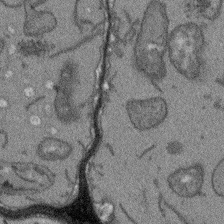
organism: Arabidopsis thaliana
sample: Root tip